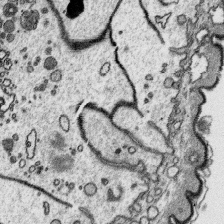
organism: Platynereis dumerilii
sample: Parapodia